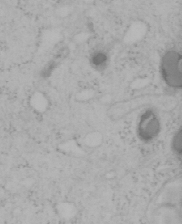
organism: Mouse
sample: OT-I killer T cells with ID8 ovarian cancer cells